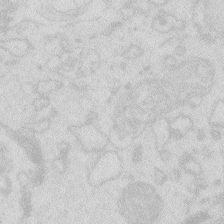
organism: Zebrafish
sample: Macrophage